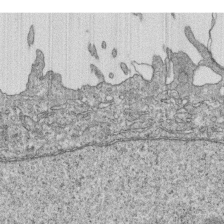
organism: Human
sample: HeLa cell HIV synapse